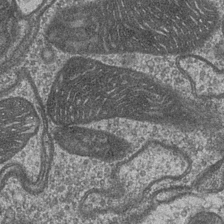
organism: Drosophila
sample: Optic medulla